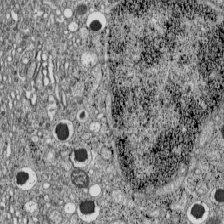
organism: C57BL Mouse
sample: Pancreatic islet